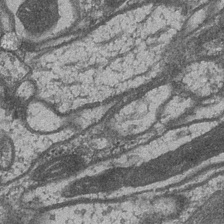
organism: Drosophila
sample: Optic medulla